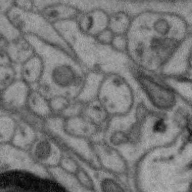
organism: Zebra finch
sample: Brain